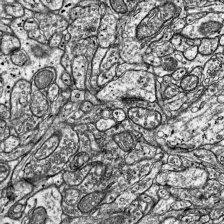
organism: Mouse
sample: Visual Cortex